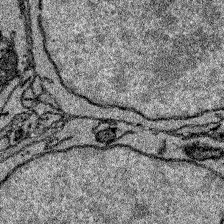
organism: Zebrafish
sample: Larval olfactory bulb